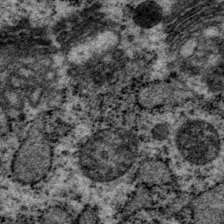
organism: P. pacificus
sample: Pharynx